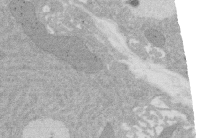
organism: Rat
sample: Salivary granule